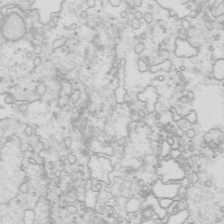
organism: Mouse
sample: Multiciliated cells